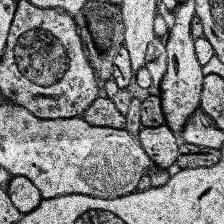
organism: Human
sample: Temporal Lobe